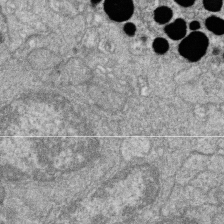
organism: Zebrafish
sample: Cilia; retinal pigment epithelium